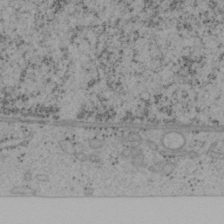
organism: Human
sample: HeLa cells